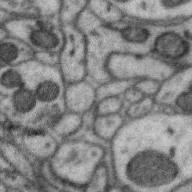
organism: Zebra finch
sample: Brain